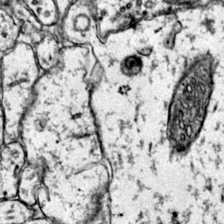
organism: Mouse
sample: Primary visual cortex